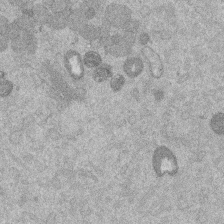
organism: Mouse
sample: Dividing mouse embryo 1 cell stage